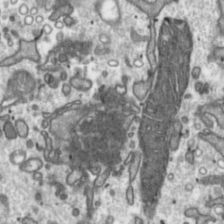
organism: Toxoplasma gondii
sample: Parasites in a vacuole inside a host cell